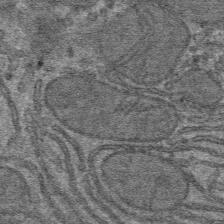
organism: Mouse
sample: Mouse hepatocytes